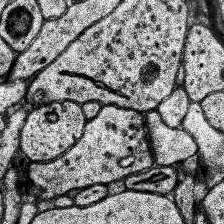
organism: Human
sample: Temporal Lobe